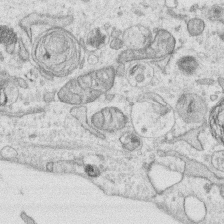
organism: Human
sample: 1205lu cells